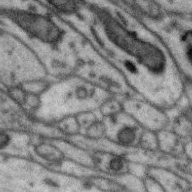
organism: Zebra finch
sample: Brain